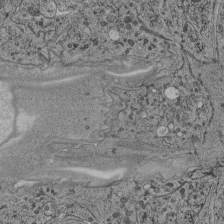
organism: C. elegans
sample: C. elegans pharynx